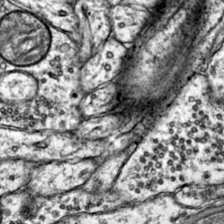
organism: Mouse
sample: Primary visual cortex